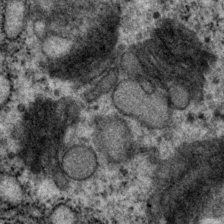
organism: P. pacificus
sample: Pharynx